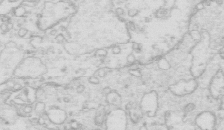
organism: Mouse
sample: Multiciliated cells